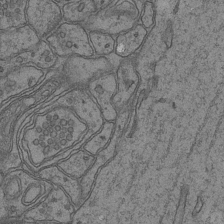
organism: Mouse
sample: CA1 Hippocampus